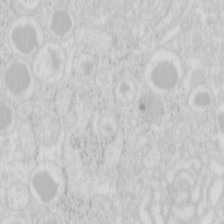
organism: Mouse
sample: Pancreas